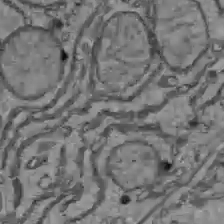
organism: C57BL Mouse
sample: Liver